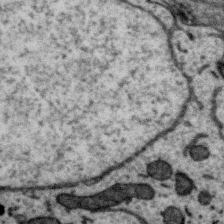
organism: Zebra finch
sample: Brain